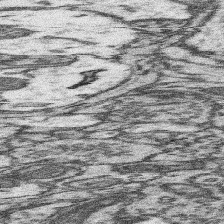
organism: Mouse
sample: Somatosensory cortex neuropil